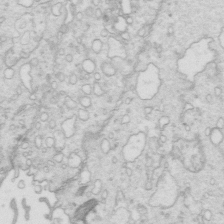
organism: Mouse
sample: Multiciliated cells